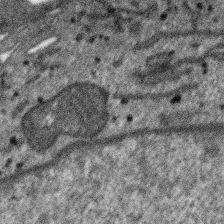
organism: Human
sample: Lung epithelial cells infected with SARS-CoV-2